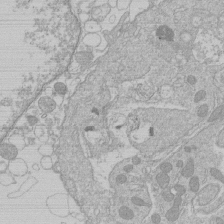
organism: Human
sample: Macrophage cells